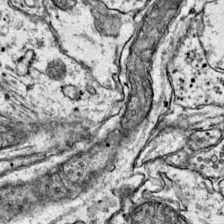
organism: Mouse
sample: Primary visual cortex